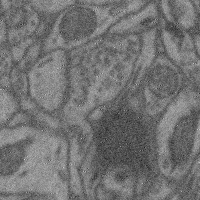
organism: Mouse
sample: Cerebral cortex